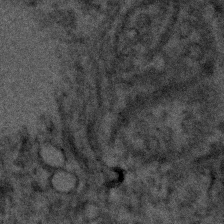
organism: Human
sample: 1205lu cells